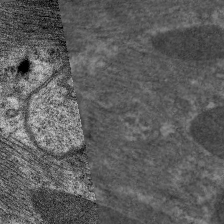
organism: C. elegans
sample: Pharynx